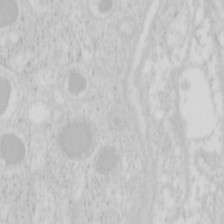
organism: Mouse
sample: Pancreas